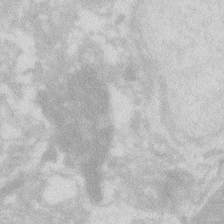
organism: Zebrafish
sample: Macrophage